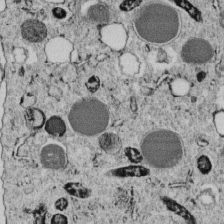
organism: C. elegans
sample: C. elegans embryo early stage